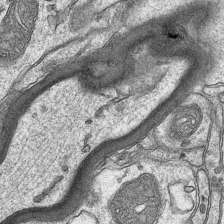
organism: Mouse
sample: CA1 Hippocampus